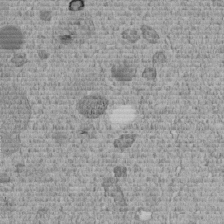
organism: C. elegans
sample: C. elegans embryo early stage